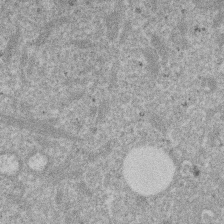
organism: Mouse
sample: Dividing mouse embryo 1 cell stage